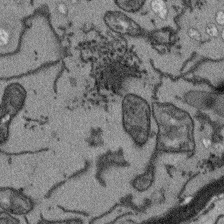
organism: Arabidopsis thaliana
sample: Root tip